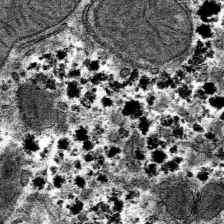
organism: Mouse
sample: Mouse hepatocytes